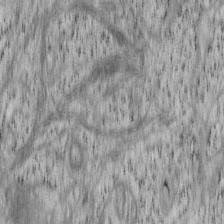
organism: Human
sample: HeLa cells